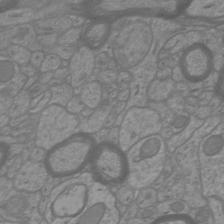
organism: Mouse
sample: Cortical neurons